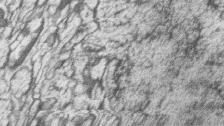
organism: Zebrafish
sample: synaptic ribbons in rod cells and cone cells